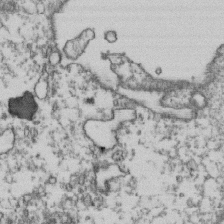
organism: Human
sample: Activated Jurkat CD4+ T cells